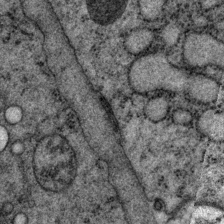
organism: P. pacificus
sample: Pharynx